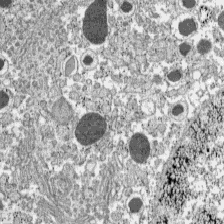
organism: C57BL Mouse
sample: Pancreatic islet